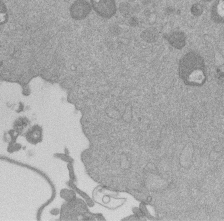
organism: Mouse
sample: Dividing mouse embryo 1 cell stage